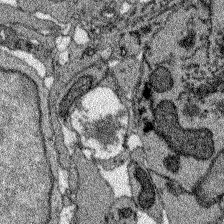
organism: Zebrafish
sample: Larval olfactory bulb